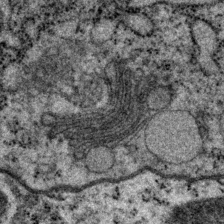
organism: P. pacificus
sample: Pharynx